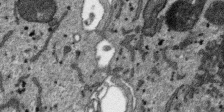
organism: Human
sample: Lung epithelial cells, uninfected (mock) control